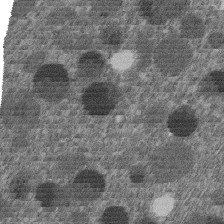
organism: C. elegans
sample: C. elegans embryo early stage